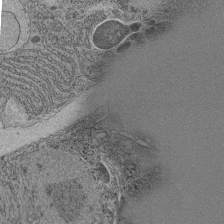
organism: C. elegans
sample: C. elegans pharynx